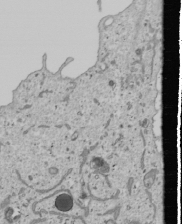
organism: Human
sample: Mitochondria in U2OS cells